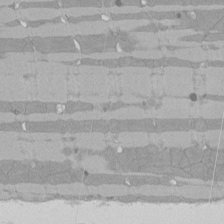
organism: Rat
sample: Left ventricle